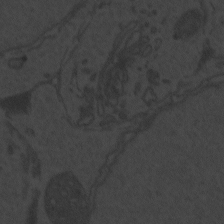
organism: Zebrafish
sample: Macrophage infected with Toxoplasma gondii